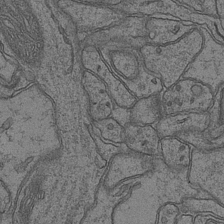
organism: Mouse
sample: CA1 Hippocampus